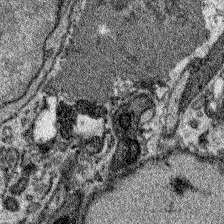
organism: Zebrafish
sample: Larval olfactory bulb